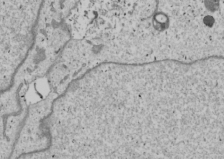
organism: Human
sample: Mitochondria in U2OS cells